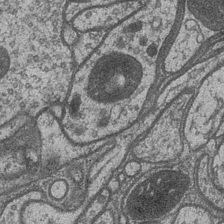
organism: Drosophila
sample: Optic medulla